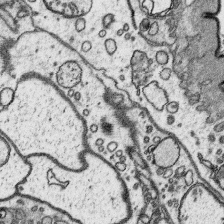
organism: Platynereis dumerilii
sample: Parapodia